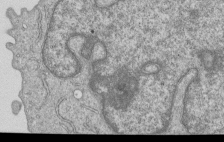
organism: Human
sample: MDA-MB-231 cells